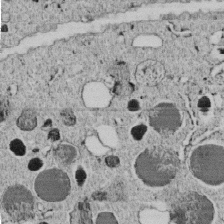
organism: C. elegans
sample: C. elegans embryo early stage